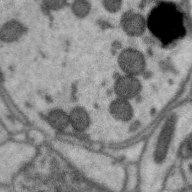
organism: Zebra finch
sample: Brain